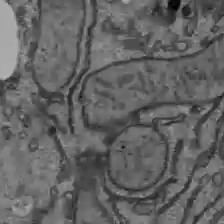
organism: C57BL Mouse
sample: Liver